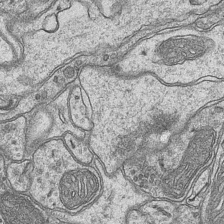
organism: Mouse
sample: CA1 Hippocampus